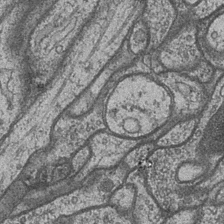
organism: Drosophila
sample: Optic medulla